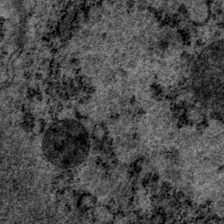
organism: P. pacificus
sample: Pharynx